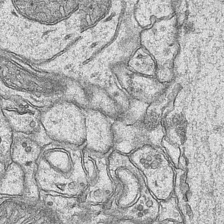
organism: Mouse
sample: CA1 Hippocampus